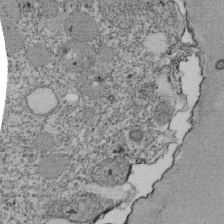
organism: Tetrahymena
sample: Cilia in tetrahymena